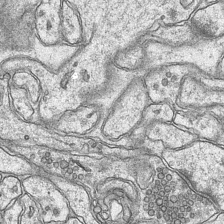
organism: Mouse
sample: CA1 Hippocampus